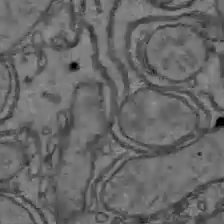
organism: C57BL Mouse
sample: Liver